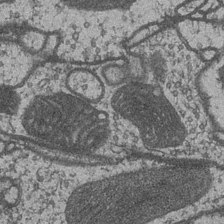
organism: Drosophila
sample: Optic medulla